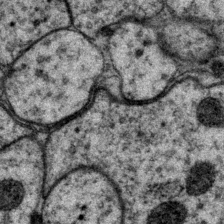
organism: P. pacificus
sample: Pharynx